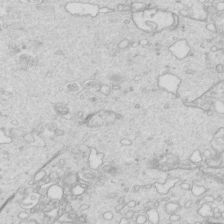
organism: Mouse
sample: Multiciliated cells